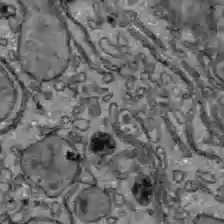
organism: C57BL Mouse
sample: Liver